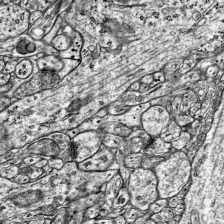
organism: Mouse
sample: Visual Cortex